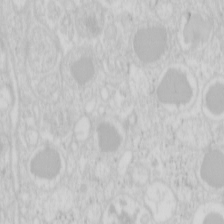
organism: Mouse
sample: Pancreas